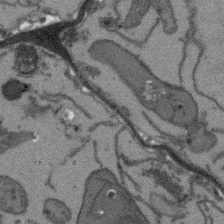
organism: Arabidopsis thaliana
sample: Root tip